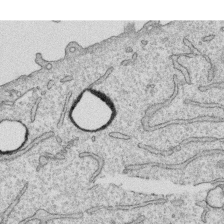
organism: Human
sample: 1205lu cells